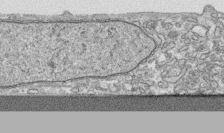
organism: Human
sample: CRL-1474